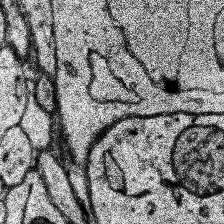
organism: Human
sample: Temporal Lobe